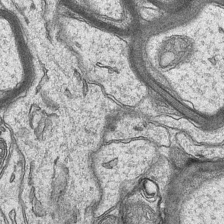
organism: Mouse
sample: CA1 Hippocampus